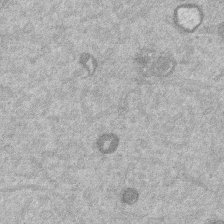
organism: Mouse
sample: Dividing mouse embryo 1 cell stage